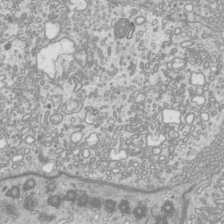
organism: Mouse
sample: Cilia; mouse epididymis